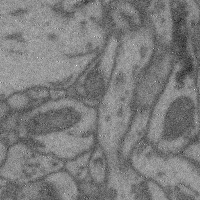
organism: Mouse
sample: Cerebral cortex